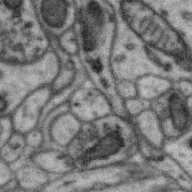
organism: Zebra finch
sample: Brain